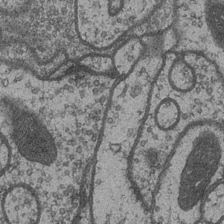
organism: Drosophila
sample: Optic medulla